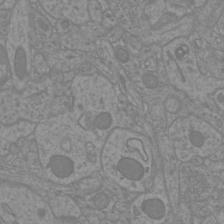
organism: Mouse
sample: Cortical neurons